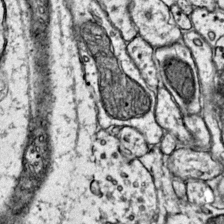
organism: Mouse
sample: Primary visual cortex